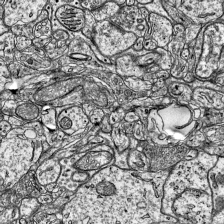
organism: Mouse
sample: Visual Cortex